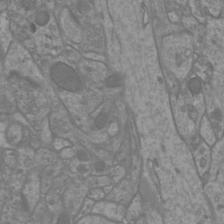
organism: Mouse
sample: Cortical neurons